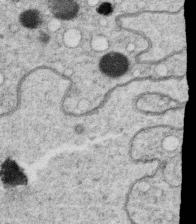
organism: C. elegans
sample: C. elegans oocyte; sperm cells